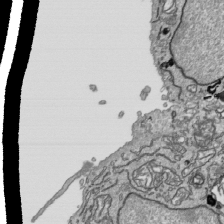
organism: Human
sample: Mitochondria in HCT116 cells